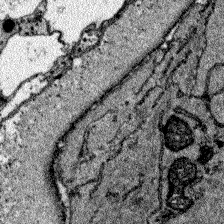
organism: Zebrafish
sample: Larval olfactory bulb